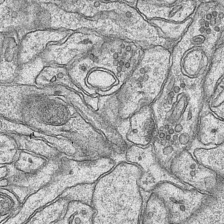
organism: Mouse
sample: CA1 Hippocampus